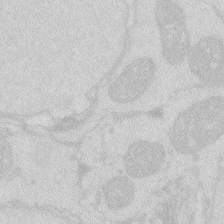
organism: Zebrafish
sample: Macrophage